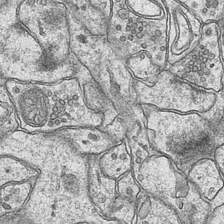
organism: Mouse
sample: CA1 Hippocampus